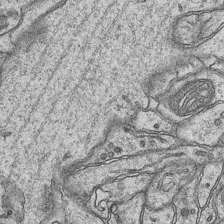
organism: Mouse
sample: CA1 Hippocampus